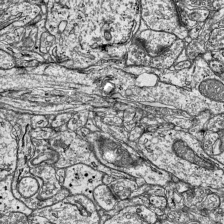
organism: Mouse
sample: Visual Cortex